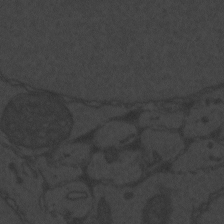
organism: Zebrafish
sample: Macrophage infected with Toxoplasma gondii